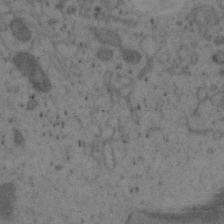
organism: Human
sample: HeLa cells